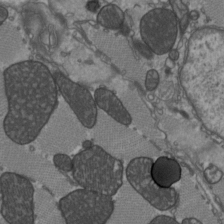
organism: C57BL Mouse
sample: Heart